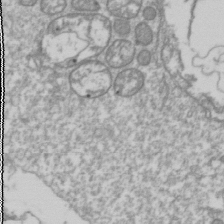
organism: Drosophila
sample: Cell division; meiosis; drosophila spermatocytes